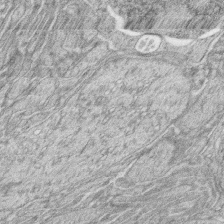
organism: Zebrafish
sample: synaptic ribbons in rod cells and cone cells